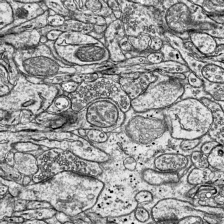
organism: Mouse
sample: Visual Cortex